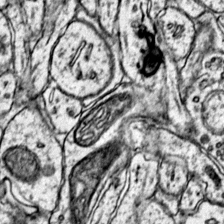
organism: Mouse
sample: Primary visual cortex